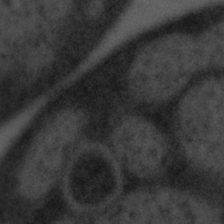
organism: Tuwongella immobilis